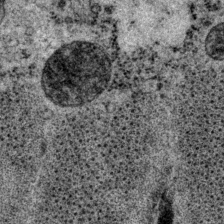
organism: P. pacificus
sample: Pharynx